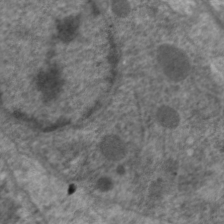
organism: C. elegans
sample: Pharynx